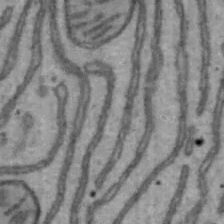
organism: Mouse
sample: Liver